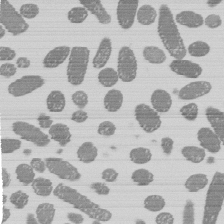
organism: E. coli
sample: Bacterial nucleoid